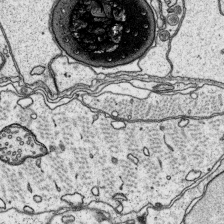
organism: Platynereis dumerilii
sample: Parapodia